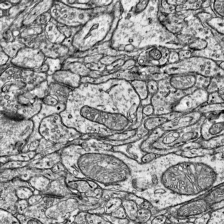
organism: Mouse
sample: Visual Cortex